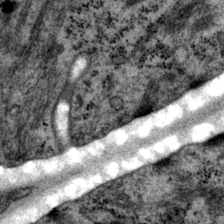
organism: P. pacificus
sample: Pharynx